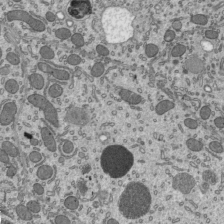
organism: Mouse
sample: Mouse epididymis efferent ductule cilia